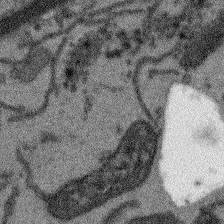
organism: Arabidopsis thaliana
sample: Root tip